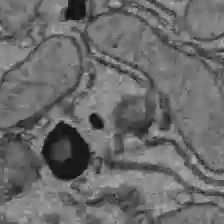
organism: C57BL Mouse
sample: Liver